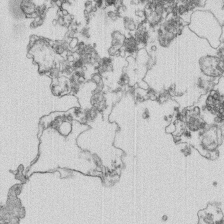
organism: Human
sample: HeLa cell HIV synapse